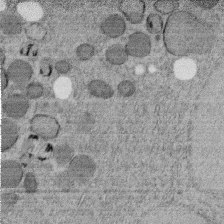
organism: C. elegans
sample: C. elegans embryo early stage